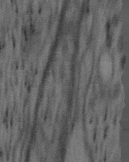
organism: Human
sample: HeLa cells